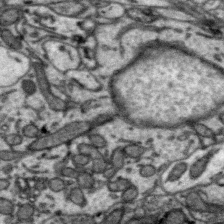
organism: Zebra finch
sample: Brain